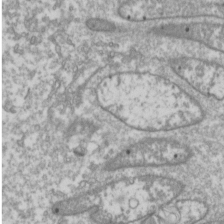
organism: Drosophila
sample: Cell division; meiosis; drosophila spermatocytes